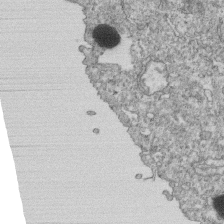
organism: Human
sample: HeLa cell HIV synapse